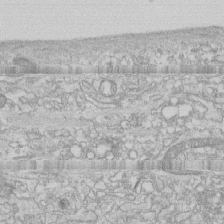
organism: Human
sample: CRL-1474